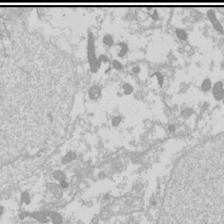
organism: Drosophila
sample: Cell division; meiosis; drosophila spermatocytes